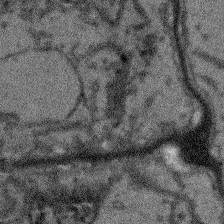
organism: Arabidopsis thaliana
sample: Root tip